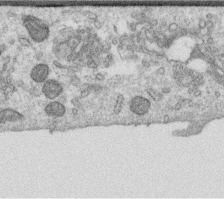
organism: Human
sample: Centriole in RPE cells